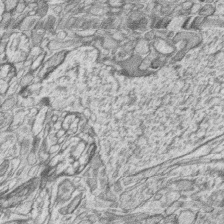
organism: Zebrafish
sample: synaptic ribbons in rod cells and cone cells